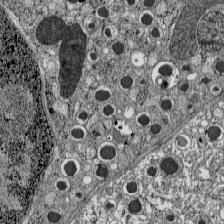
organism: C57BL Mouse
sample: Pancreatic islet